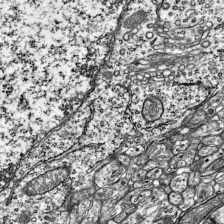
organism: Mouse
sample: Visual Cortex